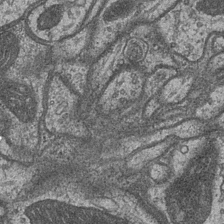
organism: Drosophila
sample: Optic medulla